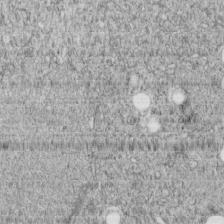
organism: C. elegans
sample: C. elegans embryo early stage